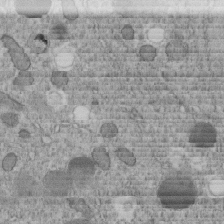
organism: C. elegans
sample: C. elegans embryo early stage